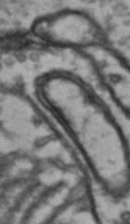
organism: Drosophila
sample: Brain